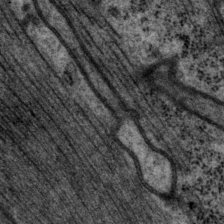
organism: P. pacificus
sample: Pharynx